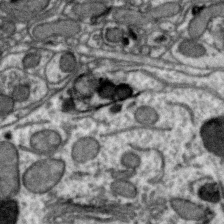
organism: Zebra finch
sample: Brain